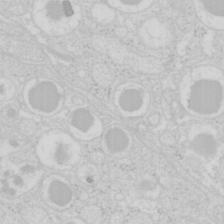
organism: Mouse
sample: Pancreas